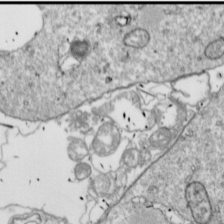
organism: Drosophila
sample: Cell division; meiosis; drosophila spermatocytes